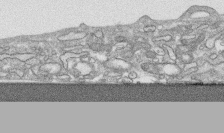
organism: Human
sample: CRL-1474